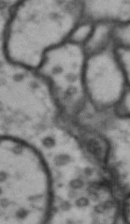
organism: Drosophila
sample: Brain